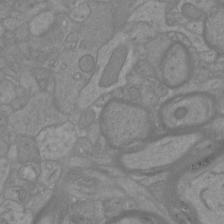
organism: Mouse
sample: Cortical neurons